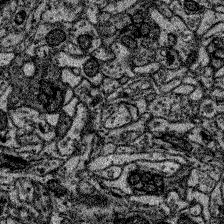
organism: Zebrafish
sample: Larval olfactory bulb